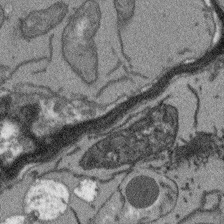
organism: Arabidopsis thaliana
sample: Root tip